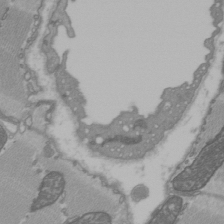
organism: C57BL Mouse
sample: Heart